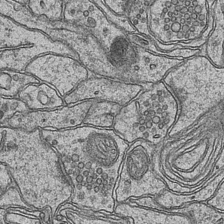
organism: Mouse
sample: CA1 Hippocampus